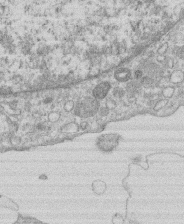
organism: Human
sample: Macrophage cells